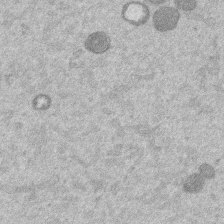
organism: Mouse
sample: Dividing mouse embryo 1 cell stage